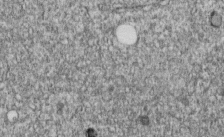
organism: C. elegans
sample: C. elegans embryo early stage